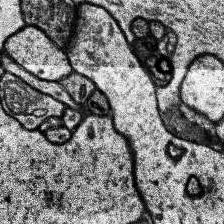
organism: Human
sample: Temporal Lobe